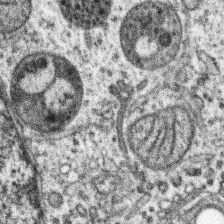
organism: Human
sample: HeLa cells